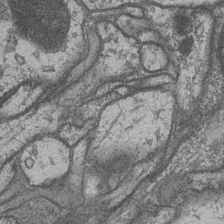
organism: Drosophila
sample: Optic medulla